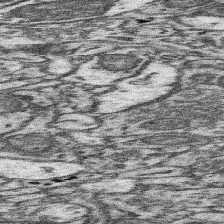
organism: Mouse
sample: Somatosensory cortex neuropil